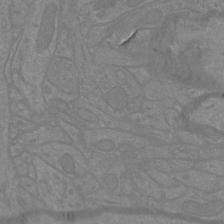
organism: Mouse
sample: Cortical neurons